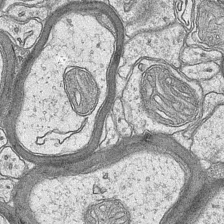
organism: Mouse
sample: CA1 Hippocampus